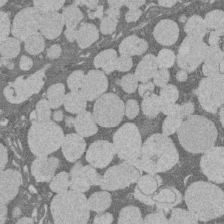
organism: Rat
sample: Salivary granule